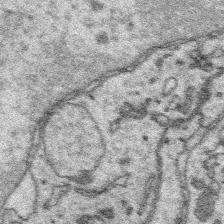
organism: Platynereis dumerilii